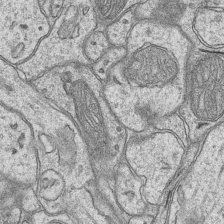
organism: Mouse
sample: CA1 Hippocampus